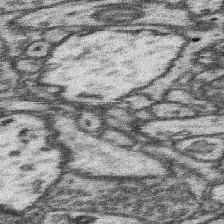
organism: Mouse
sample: Somatosensory cortex neuropil